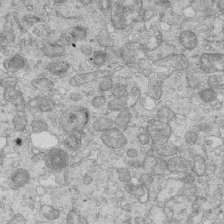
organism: Mouse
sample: Multiciliated cells